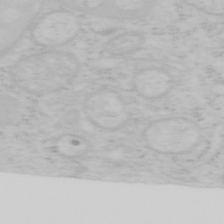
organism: Mouse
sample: OT-I killer T cells with ID8 ovarian cancer cells